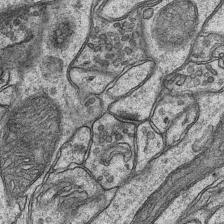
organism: Mouse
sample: CA1 Hippocampus